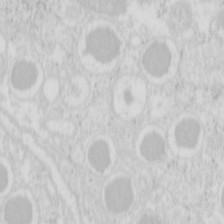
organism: Mouse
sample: Pancreas